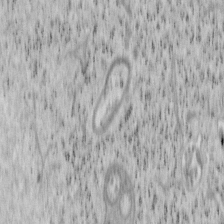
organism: Human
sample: HeLa cells